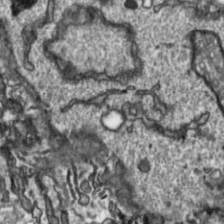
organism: Toxoplasma gondii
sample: Parasites in a vacuole inside a host cell